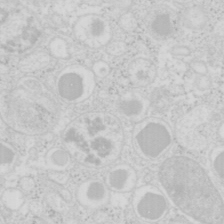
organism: Mouse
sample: Pancreas